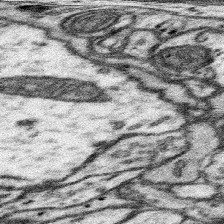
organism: Mouse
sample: Somatosensory cortex neuropil